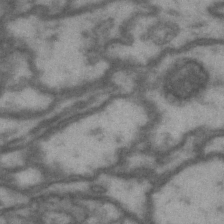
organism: Drosophila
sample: Brain